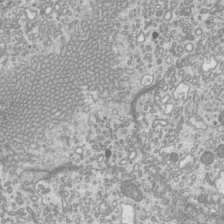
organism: Mouse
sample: Cilia; mouse epididymis